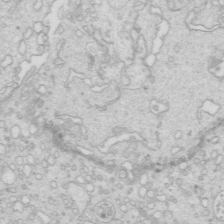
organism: Mouse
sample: Multiciliated cells